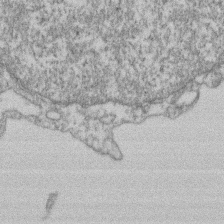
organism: Mouse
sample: T cell stromal cell synapse